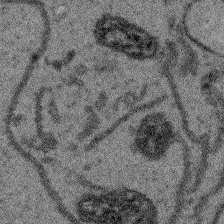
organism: Arabidopsis thaliana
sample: Root tip